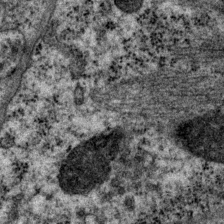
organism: P. pacificus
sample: Pharynx